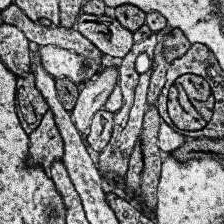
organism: Human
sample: Temporal Lobe